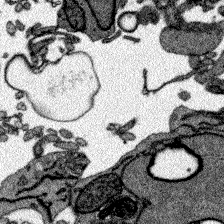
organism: Zebrafish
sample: Larval olfactory bulb